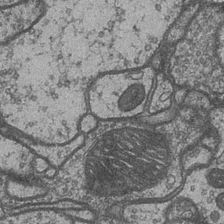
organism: Drosophila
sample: Optic medulla